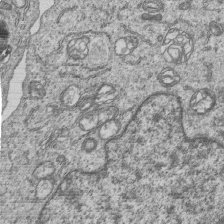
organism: Human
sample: MDA-MB-231 cells